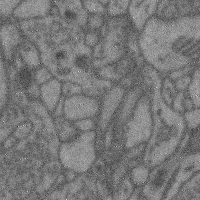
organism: Mouse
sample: Cerebral cortex